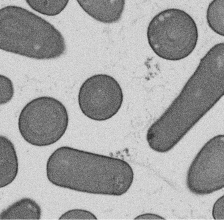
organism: B. subtilis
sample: Bacterial spore